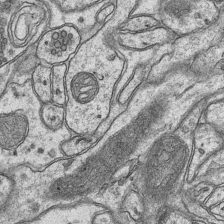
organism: Mouse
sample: CA1 Hippocampus